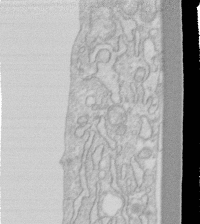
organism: Human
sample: Fibroblast cells